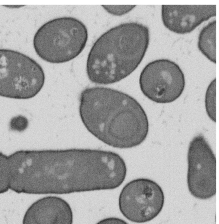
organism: B. subtilis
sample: Bacterial spore